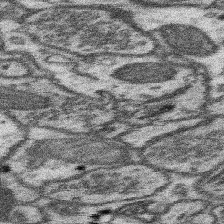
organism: Mouse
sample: Somatosensory cortex neuropil